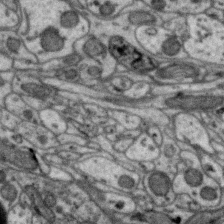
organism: Zebra finch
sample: Brain